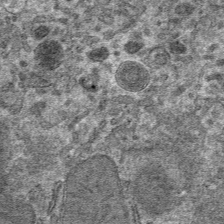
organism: Mouse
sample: Mouse hepatocytes